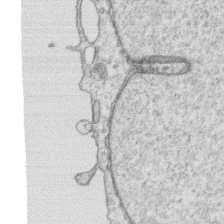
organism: Human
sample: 1205lu cells